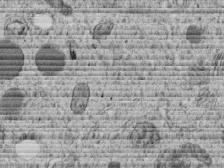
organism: C. elegans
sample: C. elegans embryo early stage